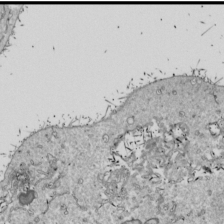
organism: Drosophila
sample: Cell division; meiosis; drosophila spermatocytes